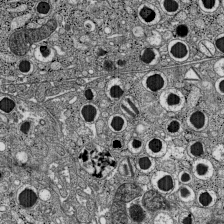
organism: C57BL Mouse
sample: Pancreatic islet